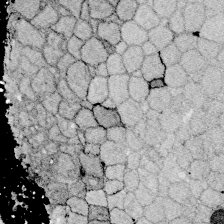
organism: Zebrafish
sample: Whole-Brain